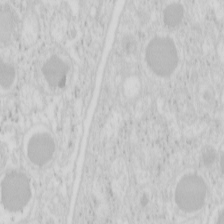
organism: Mouse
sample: Pancreas